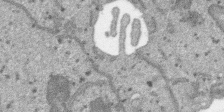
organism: Human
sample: Lung epithelial cells infected with SARS-CoV-2